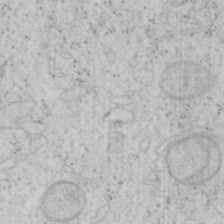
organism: Human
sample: HeLa cells